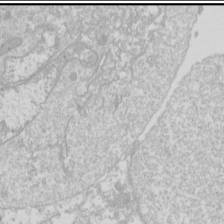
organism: Drosophila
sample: Cell division; meiosis; drosophila spermatocytes